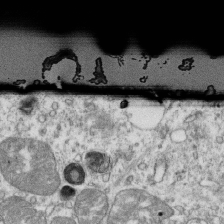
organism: Mouse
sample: Activated OT-1 CD8+ T cells